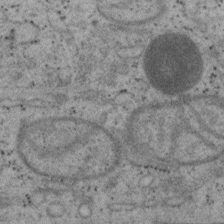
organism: Human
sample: HeLa cells